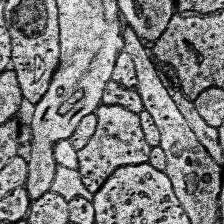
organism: Human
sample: Temporal Lobe